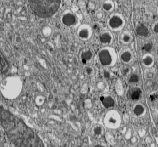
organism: C57BL Mouse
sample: Pancreatic islet